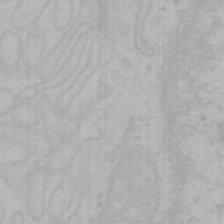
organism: Mouse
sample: Choroid plexus